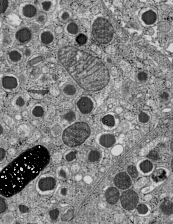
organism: C57BL Mouse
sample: Pancreatic islet